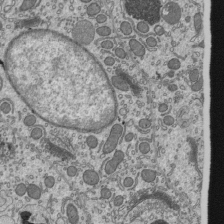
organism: Mouse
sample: Mouse epididymis efferent ductule cilia